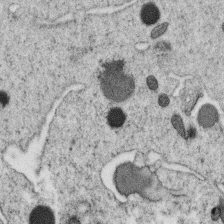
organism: C. elegans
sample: C. elegans oocyte; sperm cells